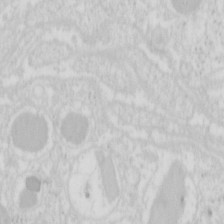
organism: Mouse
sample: Pancreas